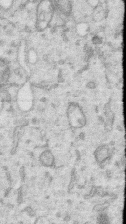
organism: Human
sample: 1205lu cells